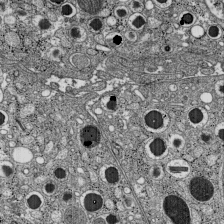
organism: C57BL Mouse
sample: Pancreatic islet